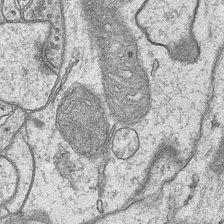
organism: Mouse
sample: CA1 Hippocampus